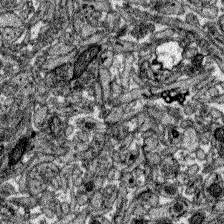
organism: Zebrafish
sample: Larval olfactory bulb